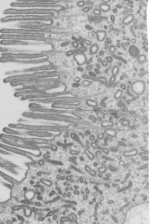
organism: Mouse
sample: Mouse epididymis efferent ductule cilia